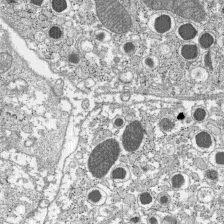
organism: C57BL Mouse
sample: Pancreatic islet